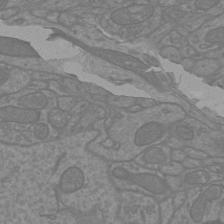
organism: Mouse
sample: Cortical neurons